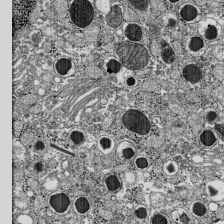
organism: C57BL Mouse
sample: Pancreatic islet